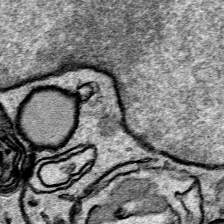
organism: Human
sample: Mitochondria in HCT116 cells